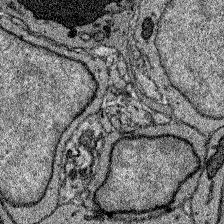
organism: Zebrafish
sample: Larval olfactory bulb